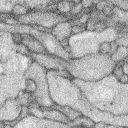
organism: Rabbit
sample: Retina